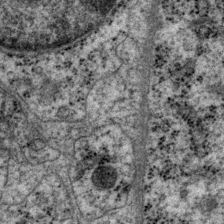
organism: P. pacificus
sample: Pharynx